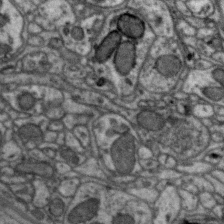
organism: Zebra finch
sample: Brain